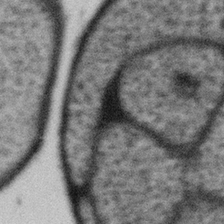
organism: Gemmata obscuriglobus